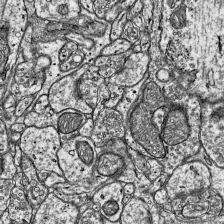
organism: Mouse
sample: Visual Cortex